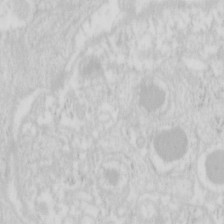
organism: Mouse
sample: Pancreas